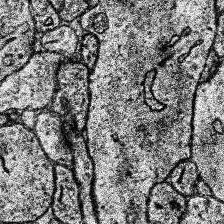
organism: Human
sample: Temporal Lobe